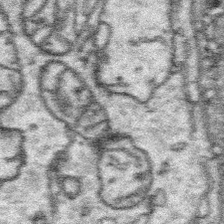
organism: Platynereis dumerilii